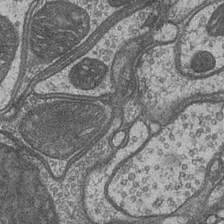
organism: Drosophila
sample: Optic medulla